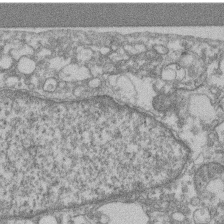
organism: Mouse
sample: T cell stromal cell synapse